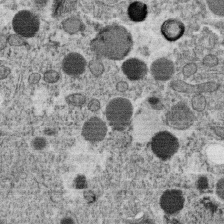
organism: C. elegans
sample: C. elegans oocyte; sperm cells